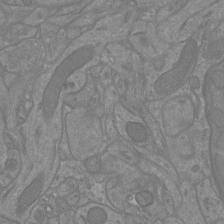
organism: Mouse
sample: Cortical neurons